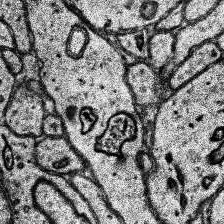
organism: Human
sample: Temporal Lobe